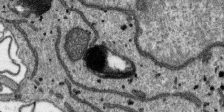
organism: Human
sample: Lung epithelial cells, uninfected (mock) control